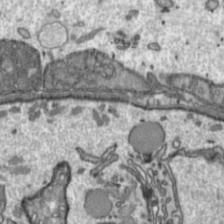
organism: Toxoplasma gondii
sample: Parasites in a vacuole inside a host cell